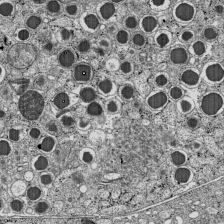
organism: C57BL Mouse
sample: Pancreatic islet